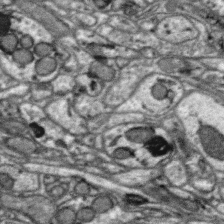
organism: Zebra finch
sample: Brain